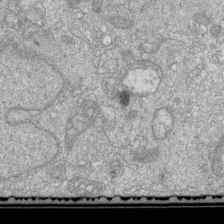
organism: Human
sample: HeLa cell HIV synapse